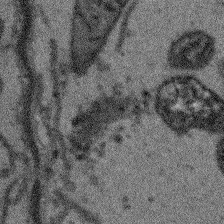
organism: Arabidopsis thaliana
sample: Root tip